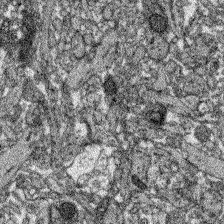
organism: Zebrafish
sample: Larval olfactory bulb